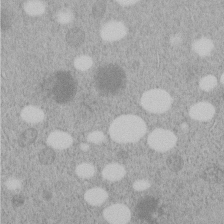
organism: C. elegans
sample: C. elegans embryo early stage